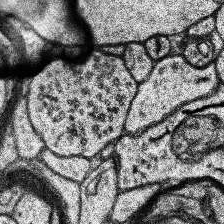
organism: Human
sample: Temporal Lobe